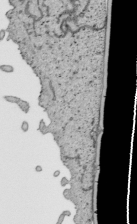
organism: Human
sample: Mitochondria in HCT116 cells